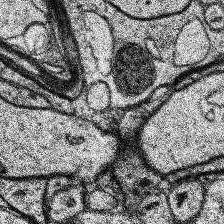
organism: Human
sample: Temporal Lobe